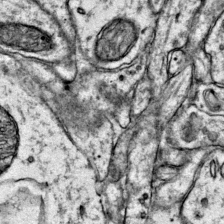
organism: Mouse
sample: Primary visual cortex